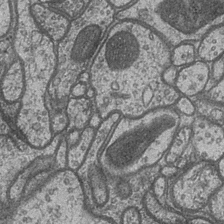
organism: Drosophila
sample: Optic medulla